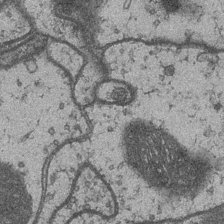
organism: Drosophila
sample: Optic medulla